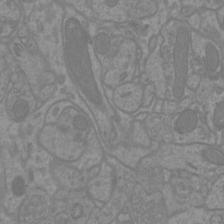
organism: Mouse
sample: Cortical neurons